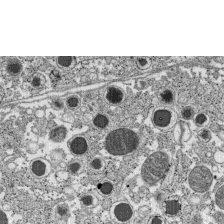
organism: C57BL Mouse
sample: Pancreatic islet